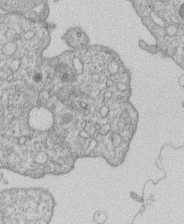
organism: Human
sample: Macrophage cells